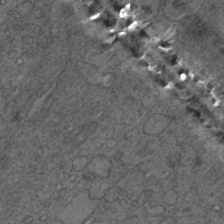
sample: Trachea